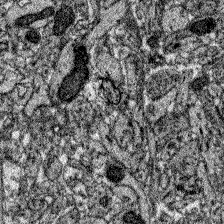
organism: Zebrafish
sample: Larval olfactory bulb